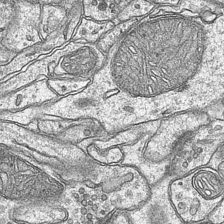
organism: Mouse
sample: CA1 Hippocampus